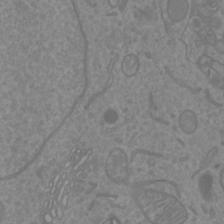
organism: Mouse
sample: Cortical neurons